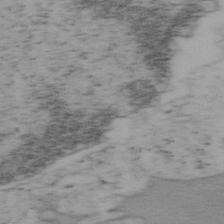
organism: Mouse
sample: OT-I killer T cells with ID8 ovarian cancer cells